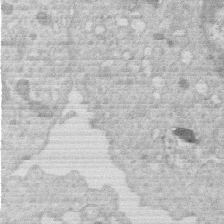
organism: Human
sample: Macrophage cells